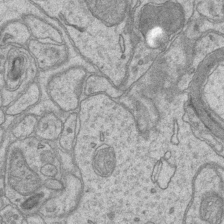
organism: Mouse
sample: CA1 Hippocampus